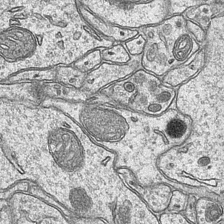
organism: Mouse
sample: CA1 Hippocampus